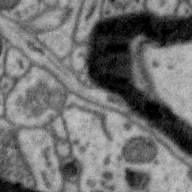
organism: Zebra finch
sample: Brain